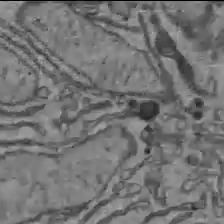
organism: C57BL Mouse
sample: Liver